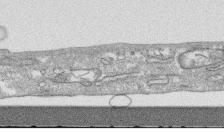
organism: Human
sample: CRL-1474